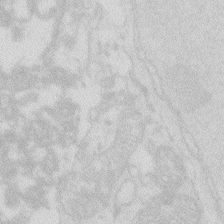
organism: Zebrafish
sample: Macrophage